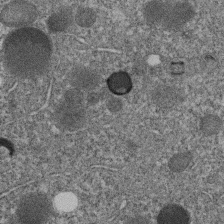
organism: C. elegans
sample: C. elegans embryo early stage